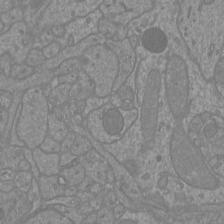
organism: Mouse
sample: Cortical neurons